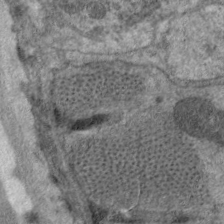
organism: C. elegans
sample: Pharynx